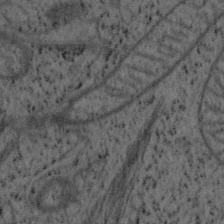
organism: Human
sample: HeLa cells